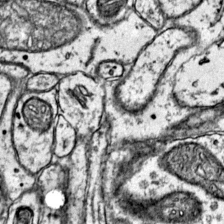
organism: Mouse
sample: Primary visual cortex